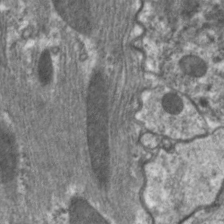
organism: C. elegans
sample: Pharynx